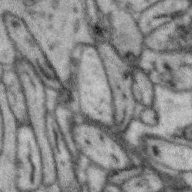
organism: Zebra finch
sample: Brain